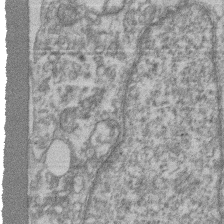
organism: Mouse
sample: T cell stromal cell synapse